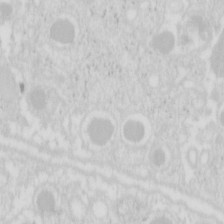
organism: Mouse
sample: Pancreas